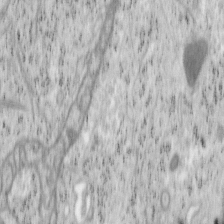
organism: Human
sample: HeLa cells